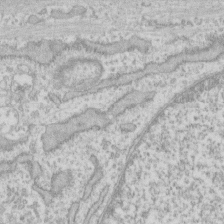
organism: Human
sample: Fibroblast cells